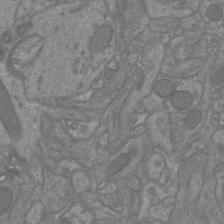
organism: Mouse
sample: Cortical neurons